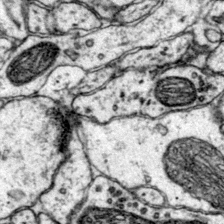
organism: Mouse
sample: Primary visual cortex